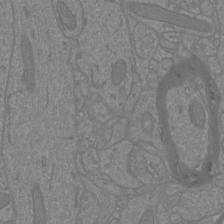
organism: Mouse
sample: Cortical neurons